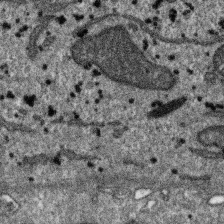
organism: Human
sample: Lung epithelial cells infected with SARS-CoV-2